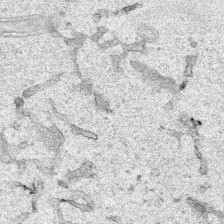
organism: Human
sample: Mitochondria in HCT116 cells